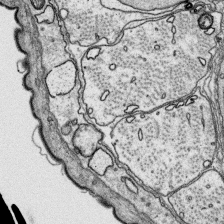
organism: Platynereis dumerilii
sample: Parapodia